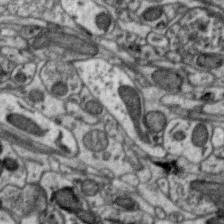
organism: Zebra finch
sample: Brain